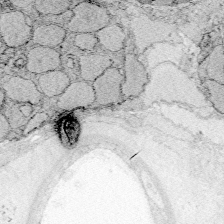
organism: Zebrafish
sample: Whole-Brain